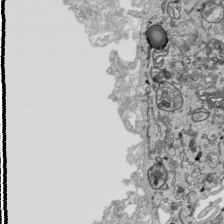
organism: Human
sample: Mitochondria in HCT116 cells